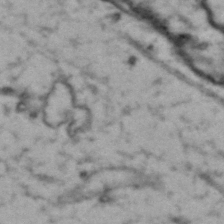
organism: Drosophila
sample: Brain